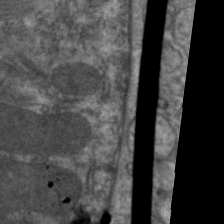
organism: C. elegans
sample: Pharynx